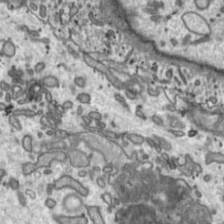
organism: Toxoplasma gondii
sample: Parasites in a vacuole inside a host cell